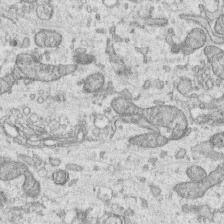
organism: Human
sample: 1205lu cells